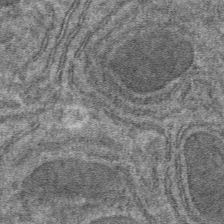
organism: Mouse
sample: Mouse hepatocytes